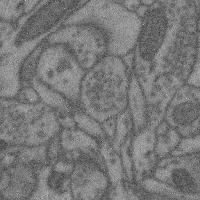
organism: Mouse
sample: Cerebral cortex